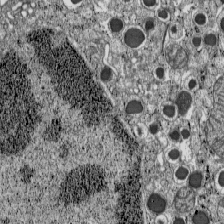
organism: C57BL Mouse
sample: Pancreatic islet